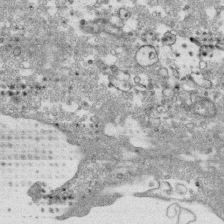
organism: Human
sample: CRL-1474